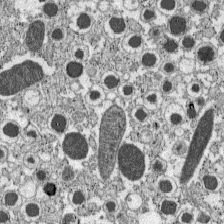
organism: C57BL Mouse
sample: Pancreatic islet